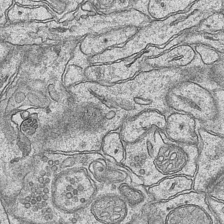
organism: Mouse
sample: CA1 Hippocampus